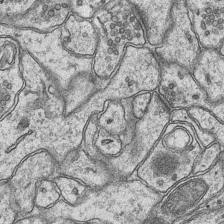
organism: Mouse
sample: CA1 Hippocampus